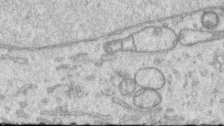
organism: Human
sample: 1205lu cells